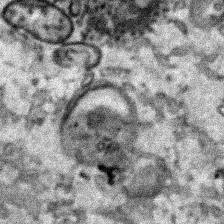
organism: Human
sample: Mitochondria in HCT116 cells